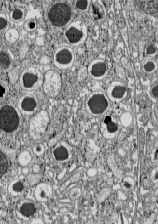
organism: C57BL Mouse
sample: Pancreatic islet